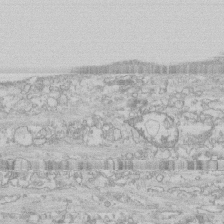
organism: Human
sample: CRL-1474